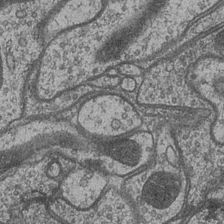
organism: Drosophila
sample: Optic medulla